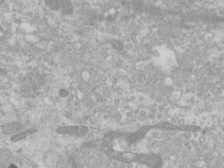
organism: Human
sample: Centriole in RPE cells